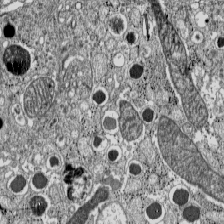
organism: C57BL Mouse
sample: Pancreatic islet